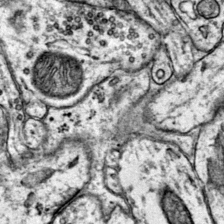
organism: Mouse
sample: Primary visual cortex